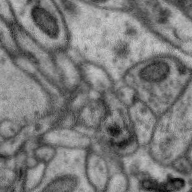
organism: Zebra finch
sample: Brain